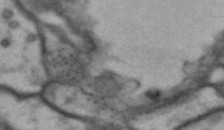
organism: Drosophila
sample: Brain